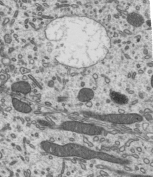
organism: Mouse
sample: Mouse epididymis efferent ductule cilia